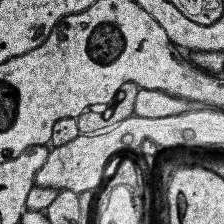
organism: Human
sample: Temporal Lobe